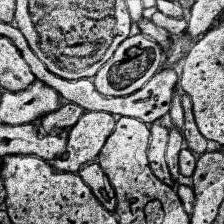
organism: Human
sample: Temporal Lobe